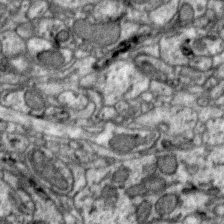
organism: Zebra finch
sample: Brain